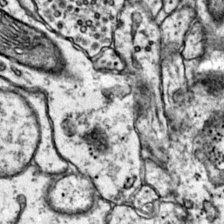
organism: Mouse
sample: Primary visual cortex